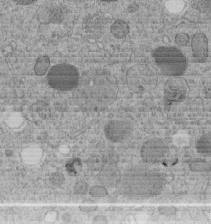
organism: C. elegans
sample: C. elegans embryo early stage